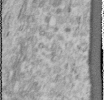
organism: Human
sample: Cilia; basal body in RPE cells